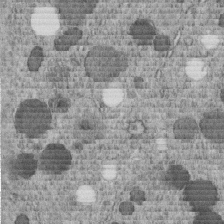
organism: C. elegans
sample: C. elegans embryo early stage